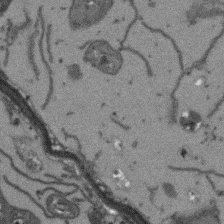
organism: Arabidopsis thaliana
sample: Root tip